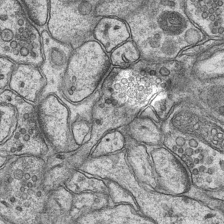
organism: Mouse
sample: CA1 Hippocampus